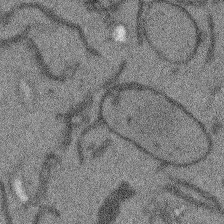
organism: Arabidopsis thaliana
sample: Root tip